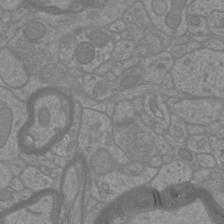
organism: Mouse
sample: Cortical neurons